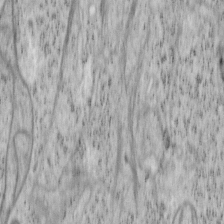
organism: Human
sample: HeLa cells